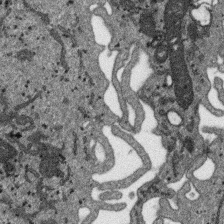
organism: Human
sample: Lung epithelial cells infected with SARS-CoV-2